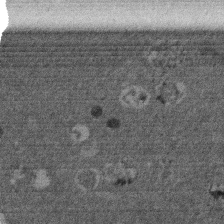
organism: Mouse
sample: Dividing mouse embryo 1 cell stage